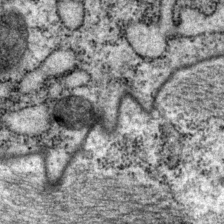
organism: P. pacificus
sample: Pharynx